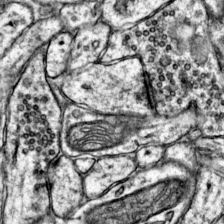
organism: Mouse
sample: Primary visual cortex